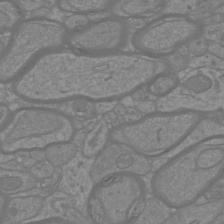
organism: Mouse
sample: Cortical neurons